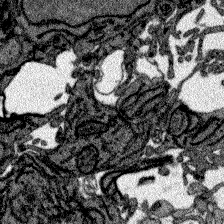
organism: Zebrafish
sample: Larval olfactory bulb